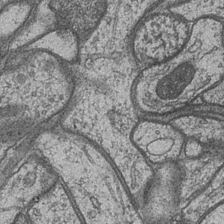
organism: Drosophila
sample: Optic medulla